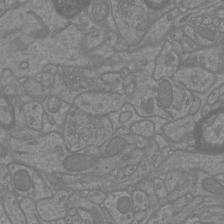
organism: Mouse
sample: Cortical neurons